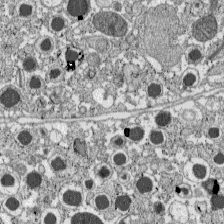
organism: C57BL Mouse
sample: Pancreatic islet